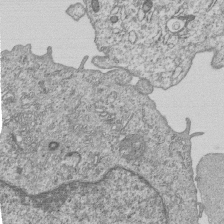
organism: Human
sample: MDA-MB-231 cells